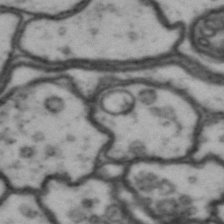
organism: Drosophila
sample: Brain